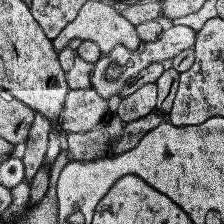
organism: Human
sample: Temporal Lobe